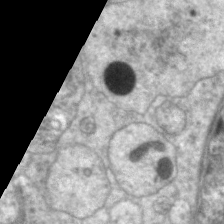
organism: C. elegans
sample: Pharynx